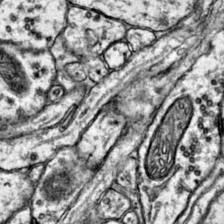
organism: Mouse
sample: Primary visual cortex